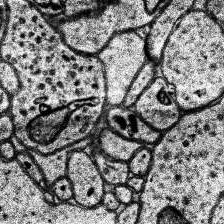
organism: Human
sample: Temporal Lobe